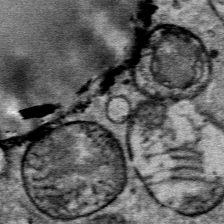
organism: Mouse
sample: Mouse Salivary gland